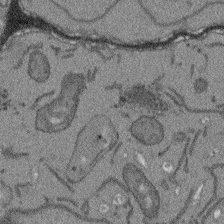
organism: Arabidopsis thaliana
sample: Root tip